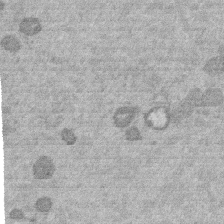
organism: Mouse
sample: Dividing mouse embryo 1 cell stage